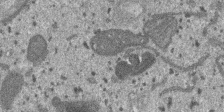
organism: Human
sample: Lung epithelial cells infected with SARS-CoV-2